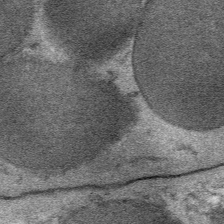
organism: Mouse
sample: Mouse Salivary gland